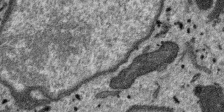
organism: Human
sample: Lung epithelial cells, uninfected (mock) control